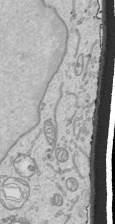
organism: Human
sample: Mitochondria in HCT116 cells